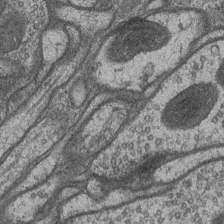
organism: Drosophila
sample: Optic medulla